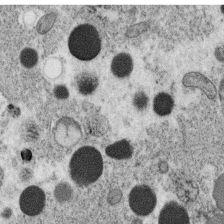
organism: C. elegans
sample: C. elegans oocyte; sperm cells